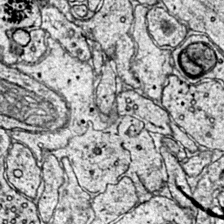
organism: Mouse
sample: Primary visual cortex